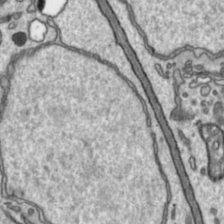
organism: Toxoplasma gondii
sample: Parasites in a vacuole inside a host cell